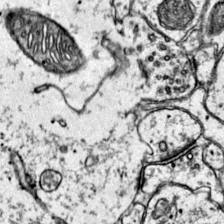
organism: Mouse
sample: Primary visual cortex